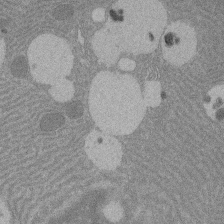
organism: Rat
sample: Salivary granule